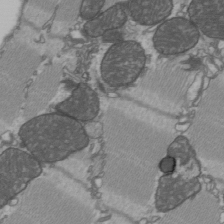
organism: C57BL Mouse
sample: Heart